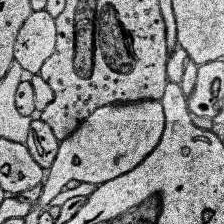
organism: Human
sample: Temporal Lobe